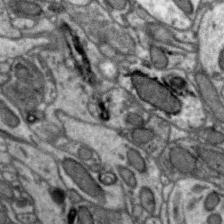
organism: Zebra finch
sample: Brain